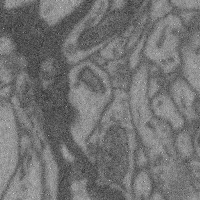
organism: Mouse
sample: Cerebral cortex